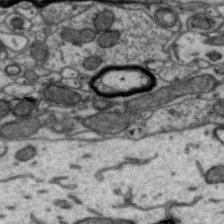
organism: Zebra finch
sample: Brain